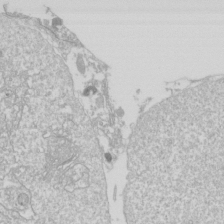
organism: Drosophila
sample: Cell division; meiosis; drosophila spermatocytes